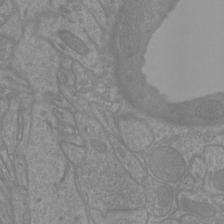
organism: Mouse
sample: Cortical neurons